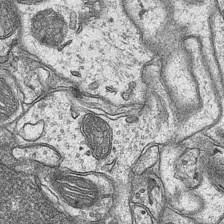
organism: Mouse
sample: CA1 Hippocampus